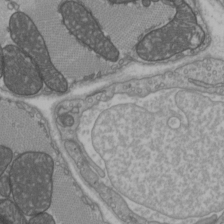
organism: C57BL Mouse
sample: Heart